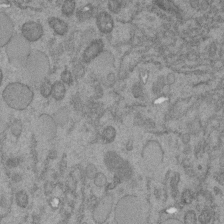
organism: C. elegans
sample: C. elegans embryo early stage